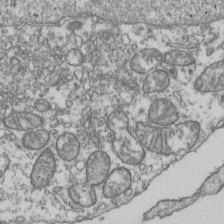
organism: Human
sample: Activated Jurkat CD4+ T cells